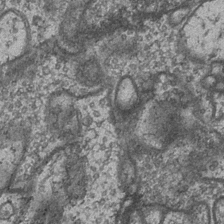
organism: Drosophila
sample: Optic medulla